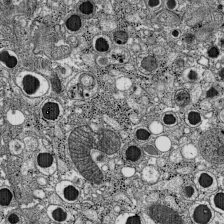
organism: C57BL Mouse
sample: Pancreatic islet